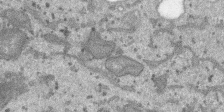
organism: Human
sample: Lung epithelial cells infected with SARS-CoV-2